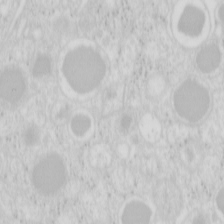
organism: Mouse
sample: Pancreas